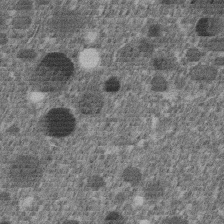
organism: C. elegans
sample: C. elegans embryo early stage